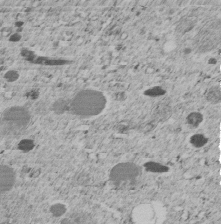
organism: C. elegans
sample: C. elegans embryo early stage